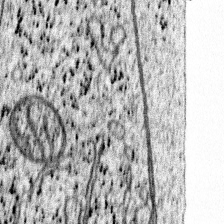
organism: Human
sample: HeLa cells